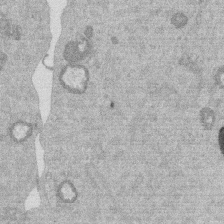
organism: Mouse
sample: Dividing mouse embryo 1 cell stage